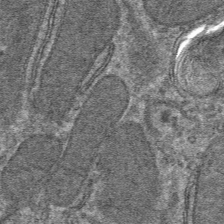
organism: Mouse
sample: Mouse hepatocytes